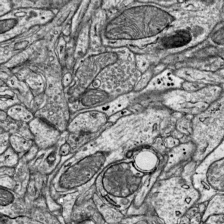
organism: Mouse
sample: Visual Cortex